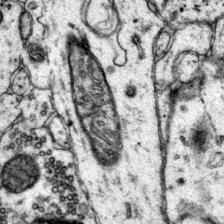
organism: Mouse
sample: Primary visual cortex